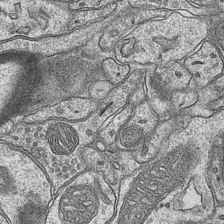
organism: Mouse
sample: CA1 Hippocampus